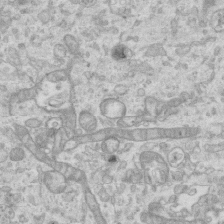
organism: Mouse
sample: Centriole in ependymal cells